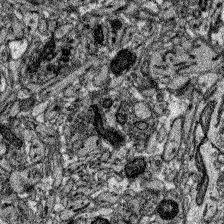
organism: Zebrafish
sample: Larval olfactory bulb